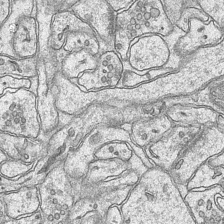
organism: Mouse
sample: CA1 Hippocampus